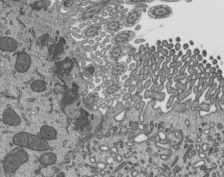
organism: Mouse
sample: Mouse epididymis efferent ductule cilia